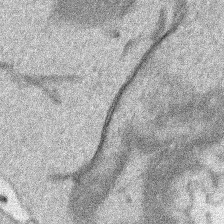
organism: Human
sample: Mitochondria in HCT116 cells